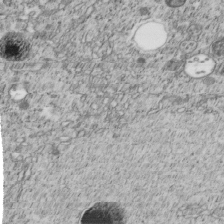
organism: C. elegans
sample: C. elegans embryo early stage